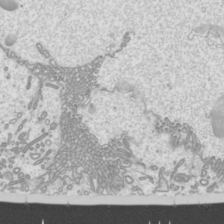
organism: Mouse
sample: Cilia; mouse epididymis